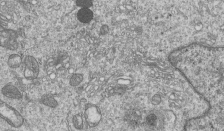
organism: Human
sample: MDA-MB-231 cells